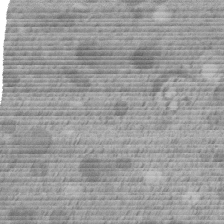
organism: C. elegans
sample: C. elegans embryo early stage